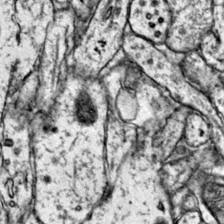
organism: Mouse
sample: Primary visual cortex